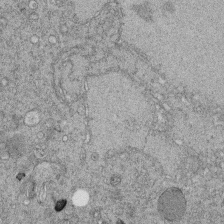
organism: C. elegans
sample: C. elegans embryo early stage